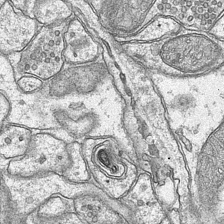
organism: Mouse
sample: CA1 Hippocampus